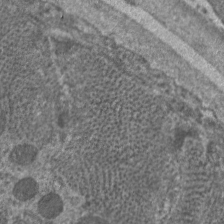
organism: C. elegans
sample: Pharynx